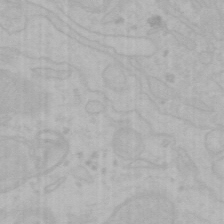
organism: Mouse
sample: Choroid plexus